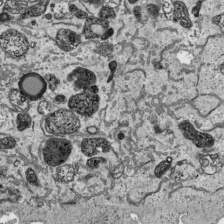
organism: Human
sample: Mitochondria in HCT116 cells